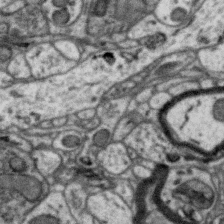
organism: Zebra finch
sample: Brain